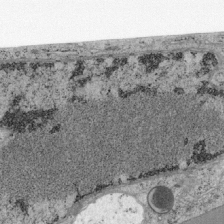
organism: Human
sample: HeLa cells